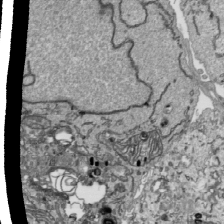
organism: Human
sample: Mitochondria in HCT116 cells